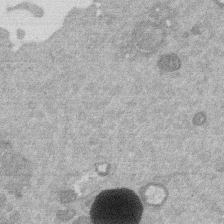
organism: Mouse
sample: Dividing mouse embryo 1 cell stage